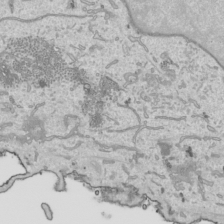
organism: Human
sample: Mitochondria in HCT116 cells